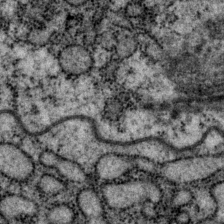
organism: P. pacificus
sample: Pharynx